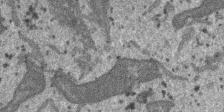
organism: Human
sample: Lung epithelial cells infected with SARS-CoV-2